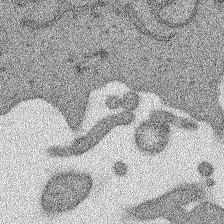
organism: Human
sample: HeLa cells